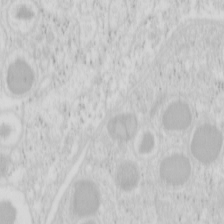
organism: Mouse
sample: Pancreas